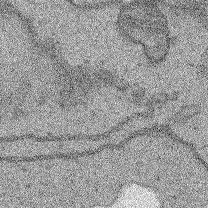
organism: Human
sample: HeLa cells